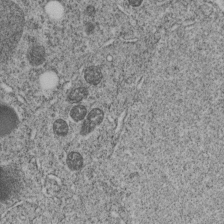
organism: C. elegans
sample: C. elegans embryo early stage